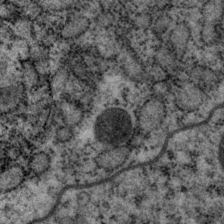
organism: P. pacificus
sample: Pharynx